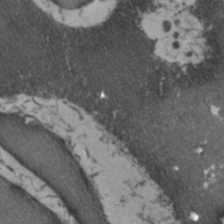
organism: Zebrafish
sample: Zebrafish embryo